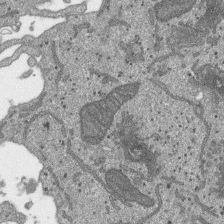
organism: Human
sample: Lung epithelial cells infected with SARS-CoV-2